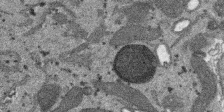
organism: Human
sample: Lung epithelial cells infected with SARS-CoV-2